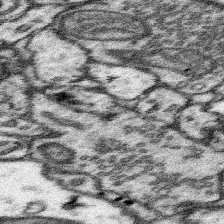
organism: Mouse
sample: Somatosensory cortex neuropil